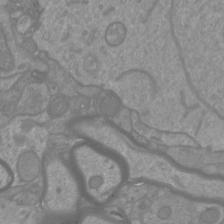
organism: Mouse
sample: Cortical neurons